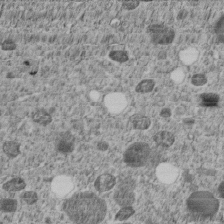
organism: C. elegans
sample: C. elegans embryo early stage